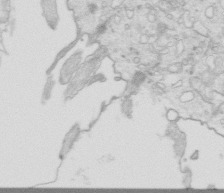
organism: Mouse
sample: Multiciliated cells